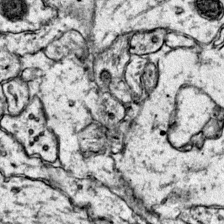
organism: Mouse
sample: Primary visual cortex